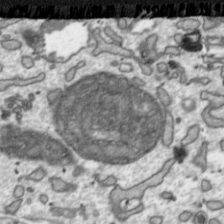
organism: Toxoplasma gondii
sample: Parasites in a vacuole inside a host cell